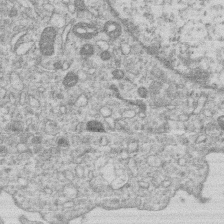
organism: Human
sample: Macrophage cells